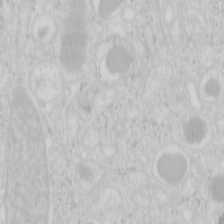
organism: Mouse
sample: Pancreas